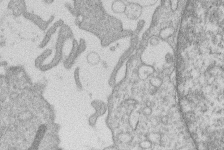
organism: Human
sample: Macrophage cells